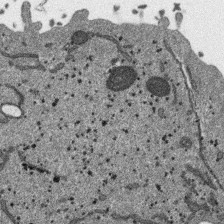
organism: Human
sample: Lung epithelial cells infected with SARS-CoV-2